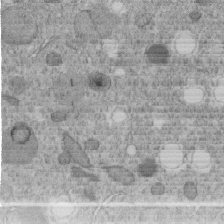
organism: C. elegans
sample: C. elegans embryo early stage